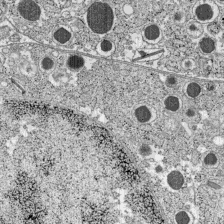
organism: C57BL Mouse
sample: Pancreatic islet